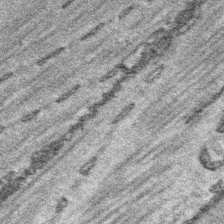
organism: Platynereis dumerilii